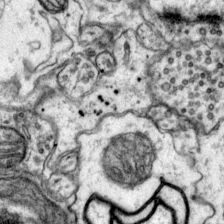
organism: Mouse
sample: Primary visual cortex